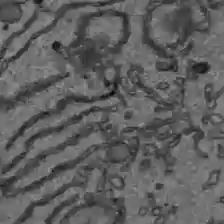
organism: C57BL Mouse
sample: Liver